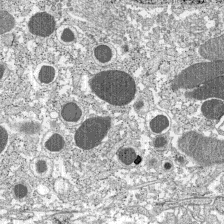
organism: C57BL Mouse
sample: Pancreatic islet